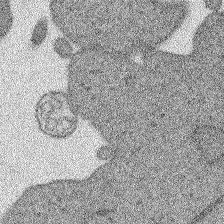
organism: Human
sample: HeLa cells